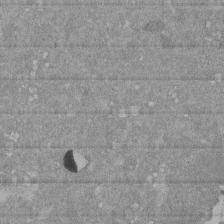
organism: Mouse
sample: ED-1 cell nuclei; centrioles